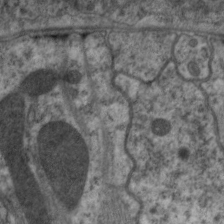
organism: C. elegans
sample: Pharynx